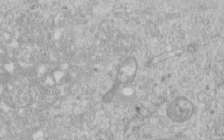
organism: Human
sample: Centriole in RPE cells